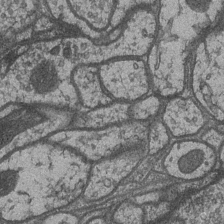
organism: Drosophila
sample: Optic medulla